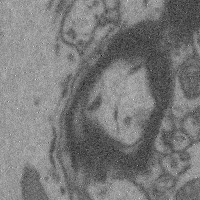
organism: Mouse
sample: Cerebral cortex